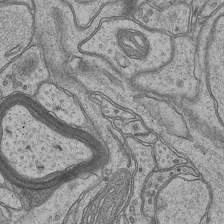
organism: Mouse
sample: CA1 Hippocampus